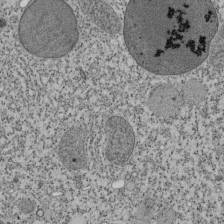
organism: Tetrahymena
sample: Cilia in tetrahymena